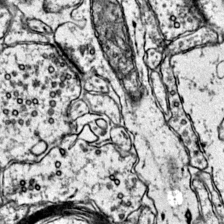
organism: Mouse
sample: Primary visual cortex